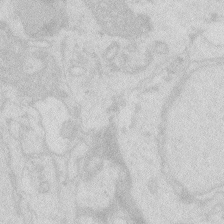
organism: Zebrafish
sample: Macrophage